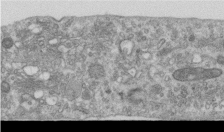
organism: Human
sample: Centriole in RPE cells